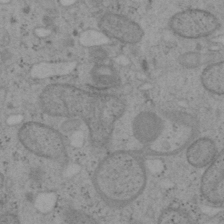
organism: Mouse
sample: OT-I killer T cells with ID8 ovarian cancer cells